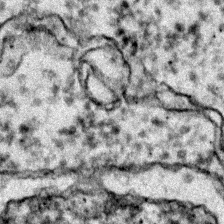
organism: Zebrafish